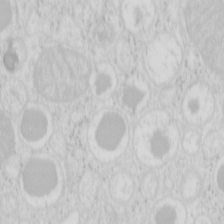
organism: Mouse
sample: Pancreas